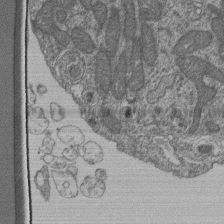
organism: Human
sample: Retinal organoid Rod and Cone cells